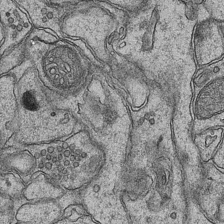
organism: Mouse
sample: CA1 Hippocampus